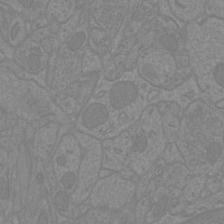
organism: Mouse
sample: Cortical neurons